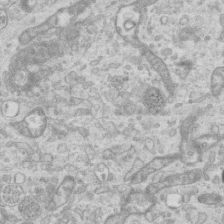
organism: Mouse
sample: Centriole in ependymal cells